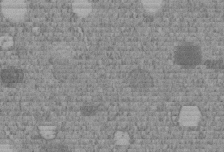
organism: C. elegans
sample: C. elegans embryo early stage